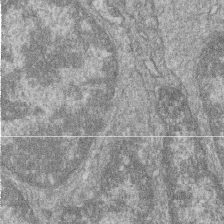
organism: Zebrafish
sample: Cilia; retinal pigment epithelium